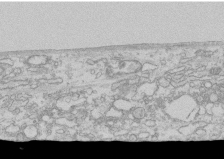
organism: Human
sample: CRL-1474